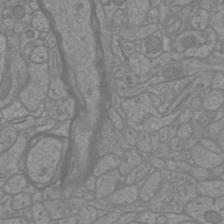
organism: Mouse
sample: Cortical neurons